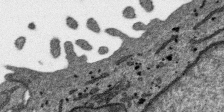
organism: Human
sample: Lung epithelial cells, uninfected (mock) control